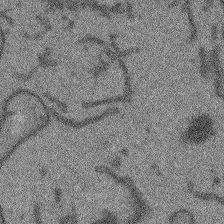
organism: Arabidopsis thaliana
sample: Root tip